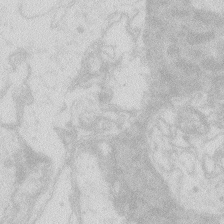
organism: Zebrafish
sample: Macrophage